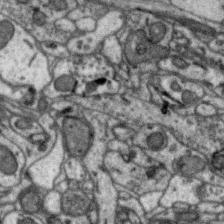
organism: Zebra finch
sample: Brain